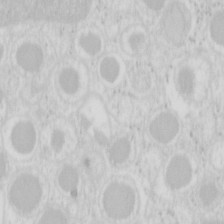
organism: Mouse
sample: Pancreas